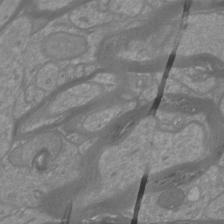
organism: Mouse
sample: Cortical neurons